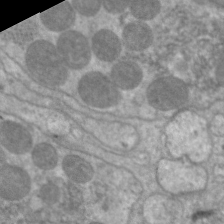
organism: C. elegans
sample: Pharynx